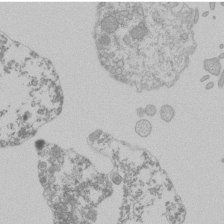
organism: Mouse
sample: Activated Pmel transgenic CD8+ T Cells